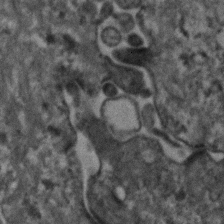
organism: Human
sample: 1205lu cells